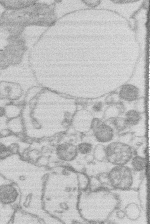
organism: Human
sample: Macrophage cells